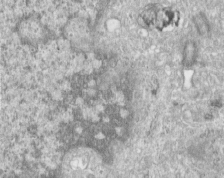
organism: Human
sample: Centriole in RPE cells